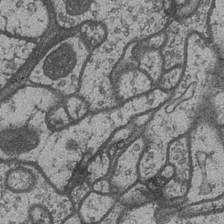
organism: Drosophila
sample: Optic medulla